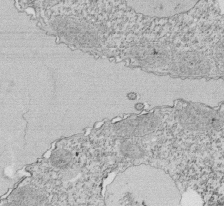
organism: Tetrahymena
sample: Cilia in tetrahymena